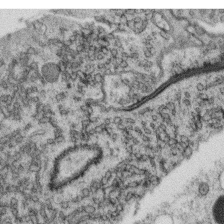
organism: C. elegans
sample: C. elegans oocyte; sperm cells